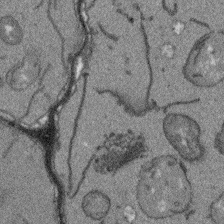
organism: Arabidopsis thaliana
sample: Root tip